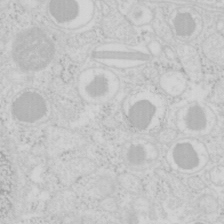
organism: Mouse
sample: Pancreas